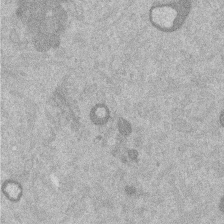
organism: Mouse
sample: Dividing mouse embryo 1 cell stage